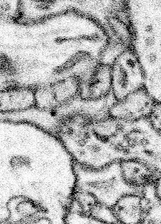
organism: Mouse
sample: Somatosensory cortex neuropil